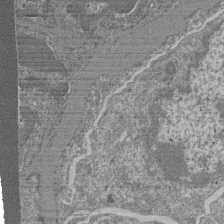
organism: Mouse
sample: Glomerulus